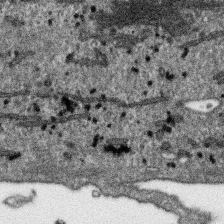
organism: Human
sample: Lung epithelial cells infected with SARS-CoV-2